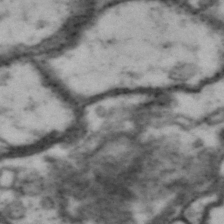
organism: Drosophila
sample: Brain